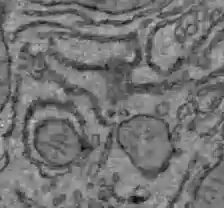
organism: C57BL Mouse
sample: Liver